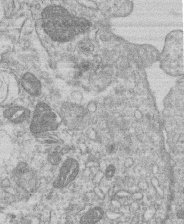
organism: Human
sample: Macrophage cells